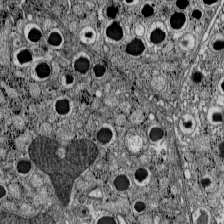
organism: C57BL Mouse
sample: Pancreatic islet